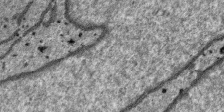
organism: Human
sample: Lung epithelial cells, uninfected (mock) control